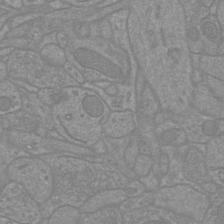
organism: Mouse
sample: Cortical neurons